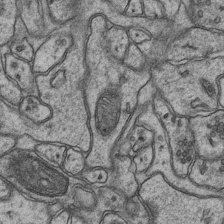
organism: Mouse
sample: CA1 Hippocampus